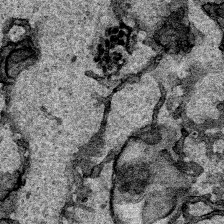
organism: Human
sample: Mitochondria in HCT116 cells